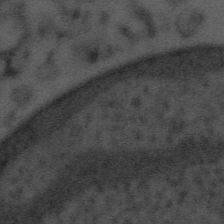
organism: Tuwongella immobilis